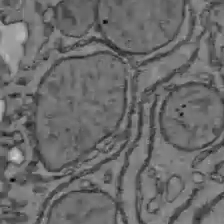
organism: C57BL Mouse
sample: Liver